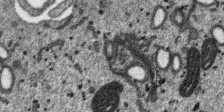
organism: Human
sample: Lung epithelial cells infected with SARS-CoV-2